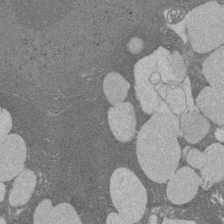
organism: Rat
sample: Salivary granule